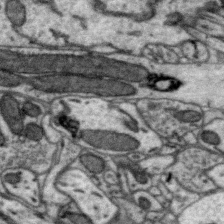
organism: Zebra finch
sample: Brain